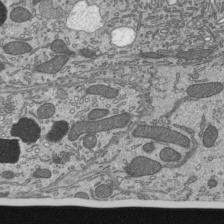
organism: Mouse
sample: Mouse epididymis efferent ductule cilia